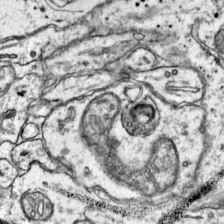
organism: Mouse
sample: Primary visual cortex